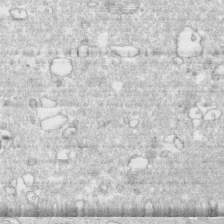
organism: Human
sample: CRL-1474